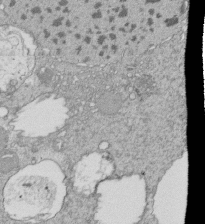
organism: Tetrahymena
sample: Cilia in tetrahymena